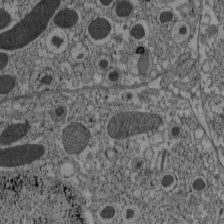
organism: C57BL Mouse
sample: Pancreatic islet